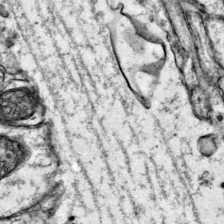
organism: Mouse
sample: Primary visual cortex